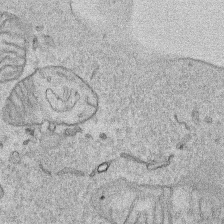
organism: Human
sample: Mitochondria in HCT116 cells